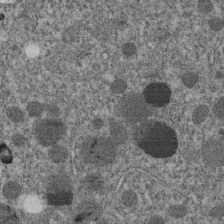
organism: C. elegans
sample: C. elegans embryo early stage